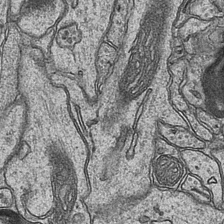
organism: Mouse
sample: CA1 Hippocampus